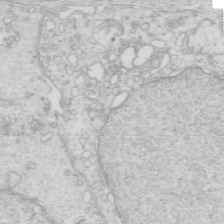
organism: Mouse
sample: Multiciliated cells